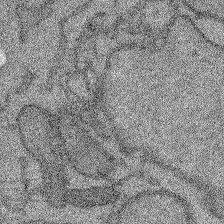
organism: Human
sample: HeLa cells